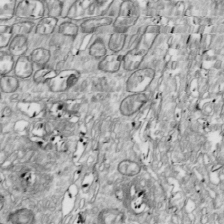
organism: Drosophila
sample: Cell division; meiosis; drosophila spermatocytes